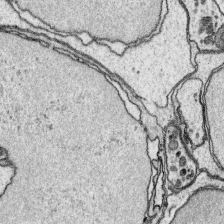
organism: Platynereis dumerilii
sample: Parapodia